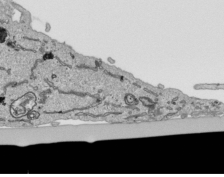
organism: Human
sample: Mitochondria in HCT116 cells